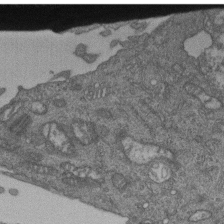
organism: Human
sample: Retinal organoid Rod and Cone cells